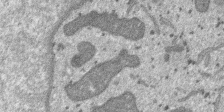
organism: Human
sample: Lung epithelial cells infected with SARS-CoV-2